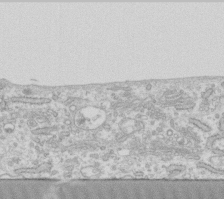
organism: Human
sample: Fibroblast cells